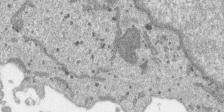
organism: Human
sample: Lung epithelial cells infected with SARS-CoV-2